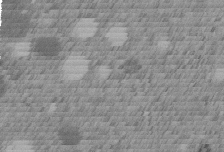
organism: C. elegans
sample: C. elegans embryo early stage